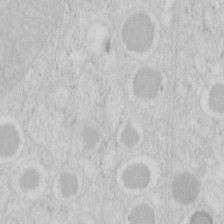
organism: Mouse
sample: Pancreas